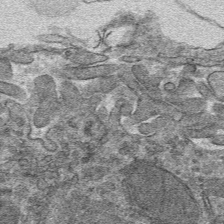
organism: Mouse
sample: Mouse hepatocytes